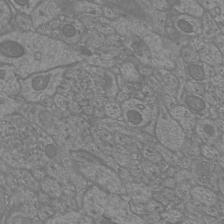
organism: Mouse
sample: Cortical neurons